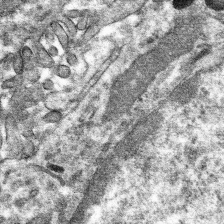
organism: Mouse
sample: Mouse hepatocytes